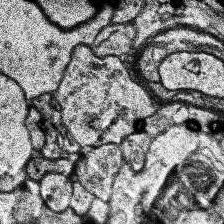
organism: Human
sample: Temporal Lobe